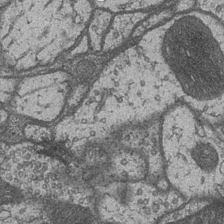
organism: Drosophila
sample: Optic medulla